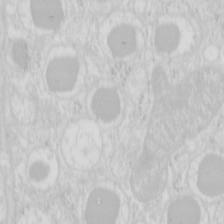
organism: Mouse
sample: Pancreas